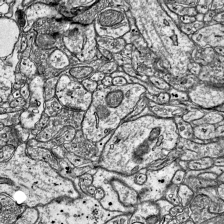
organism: Mouse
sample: Visual Cortex